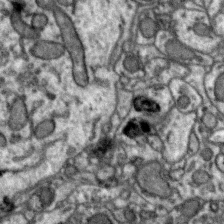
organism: Zebra finch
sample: Brain